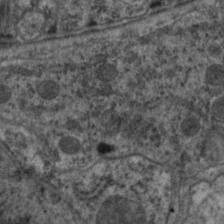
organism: C. elegans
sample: Pharynx